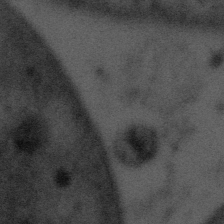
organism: Tuwongella immobilis